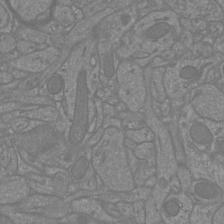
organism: Mouse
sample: Cortical neurons